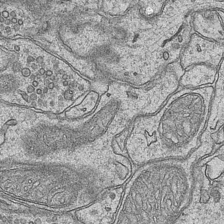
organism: Mouse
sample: CA1 Hippocampus